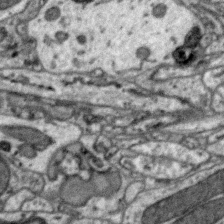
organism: Zebra finch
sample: Brain